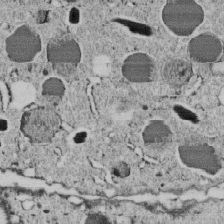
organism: C. elegans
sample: C. elegans embryo early stage